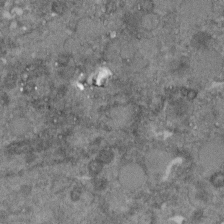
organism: C. elegans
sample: C. elegans embryo early stage